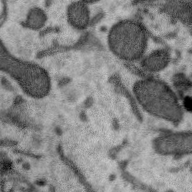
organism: Zebra finch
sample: Brain